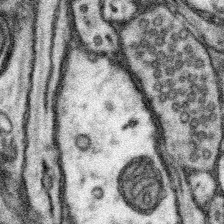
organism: Mouse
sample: Somatosensory cortex neuropil